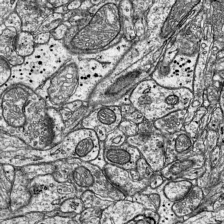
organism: Mouse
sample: Visual Cortex